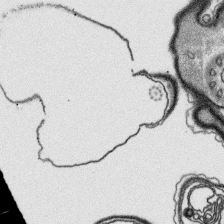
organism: Platynereis dumerilii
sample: Parapodia